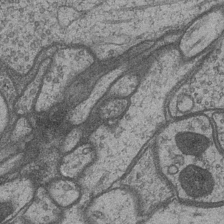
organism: Drosophila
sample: Optic medulla